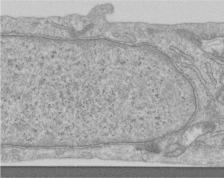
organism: Human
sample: Centriole in RPE cells